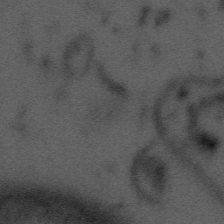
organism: Tuwongella immobilis